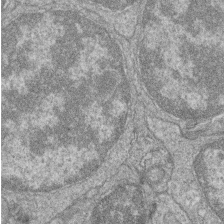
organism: Zebrafish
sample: Cilia; retinal pigment epithelium